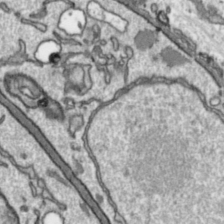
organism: Toxoplasma gondii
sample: Parasites in a vacuole inside a host cell